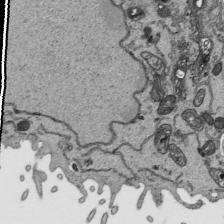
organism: Human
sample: Mitochondria in HCT116 cells